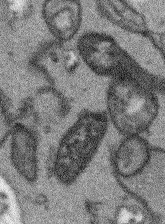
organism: Arabidopsis thaliana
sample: Root tip